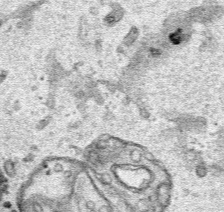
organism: Human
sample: Mitochondria in HCT116 cells